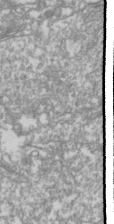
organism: Drosophila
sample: Cell division; meiosis; drosophila spermatocytes